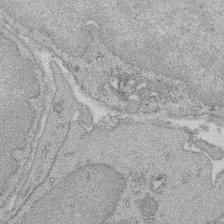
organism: Rat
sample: Salivary granule